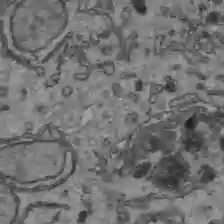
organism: C57BL Mouse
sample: Liver